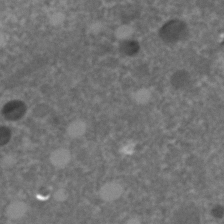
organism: C. elegans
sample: C. elegans embryo